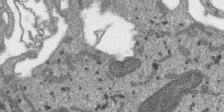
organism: Human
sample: Lung epithelial cells infected with SARS-CoV-2